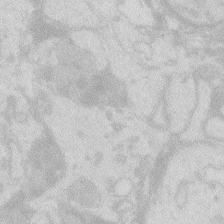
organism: Zebrafish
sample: Macrophage